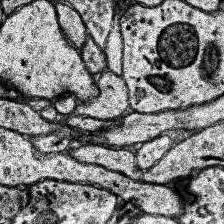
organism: Human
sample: Temporal Lobe